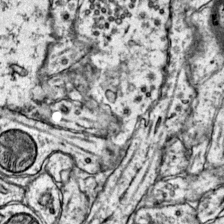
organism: Mouse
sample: Primary visual cortex